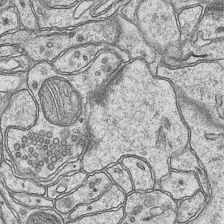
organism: Mouse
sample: CA1 Hippocampus